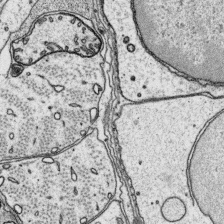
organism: Platynereis dumerilii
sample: Parapodia